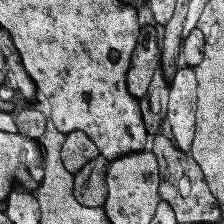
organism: Human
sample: Temporal Lobe